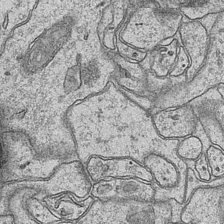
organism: Mouse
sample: CA1 Hippocampus